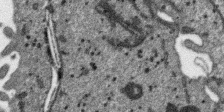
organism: Human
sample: Lung epithelial cells infected with SARS-CoV-2